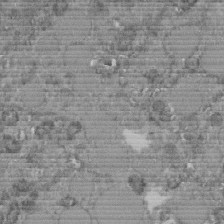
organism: C. elegans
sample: C. elegans embryo early stage